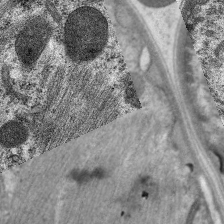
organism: C. elegans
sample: Pharynx